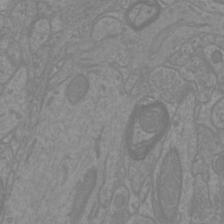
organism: Mouse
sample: Cortical neurons